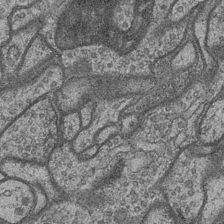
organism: Drosophila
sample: Optic medulla